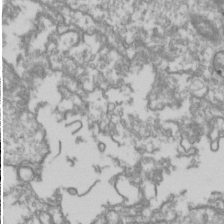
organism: Drosophila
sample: Cell division; meiosis; drosophila spermatocytes